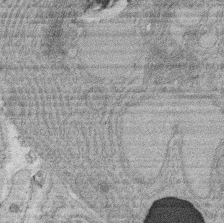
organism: Rat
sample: Salivary granule